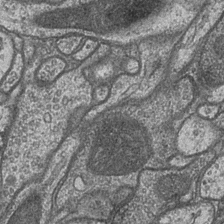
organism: Drosophila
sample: Optic medulla